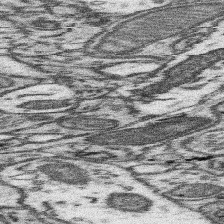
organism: Mouse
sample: Somatosensory cortex neuropil